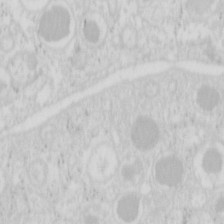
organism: Mouse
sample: Pancreas